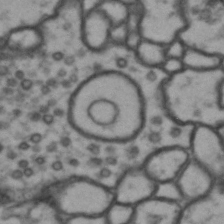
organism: Drosophila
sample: Brain